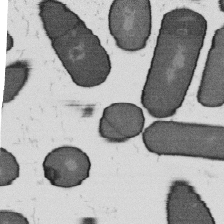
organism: B. subtilis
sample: Bacterial spore